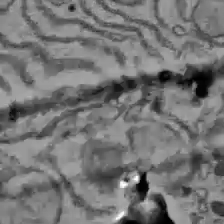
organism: C57BL Mouse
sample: Liver